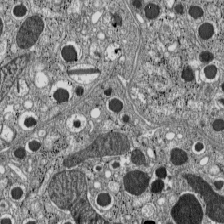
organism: C57BL Mouse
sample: Pancreatic islet